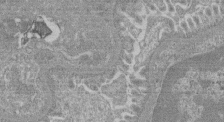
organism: Mouse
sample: Glomerulus